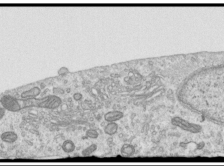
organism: Human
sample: Centriole in RPE cells